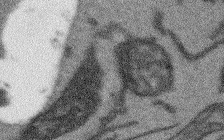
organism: Arabidopsis thaliana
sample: Root tip